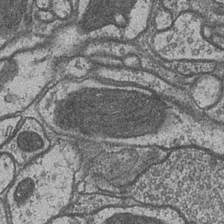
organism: Drosophila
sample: Optic medulla